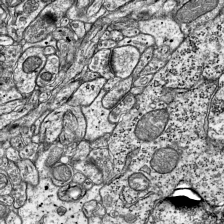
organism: Mouse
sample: Visual Cortex